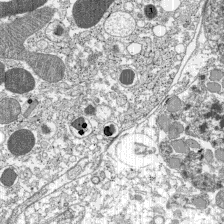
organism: C57BL Mouse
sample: Pancreatic islet